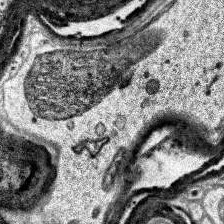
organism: Human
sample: Temporal Lobe